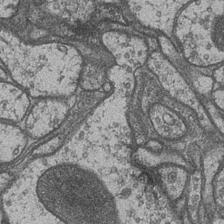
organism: Drosophila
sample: Optic medulla